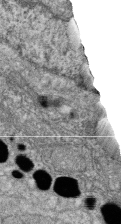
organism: Zebrafish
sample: Cilia; retinal pigment epithelium